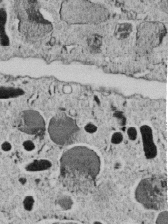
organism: C. elegans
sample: C. elegans embryo early stage